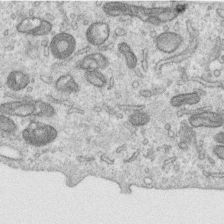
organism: Human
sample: Centriole in RPE cells